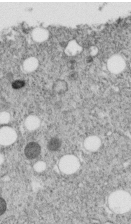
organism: C. elegans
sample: C. elegans embryo early stage